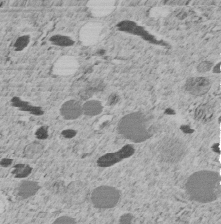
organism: C. elegans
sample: C. elegans embryo early stage